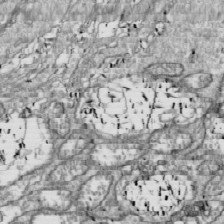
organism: Drosophila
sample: Cell division; meiosis; drosophila spermatocytes